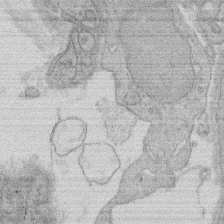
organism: Rat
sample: Salivary granule